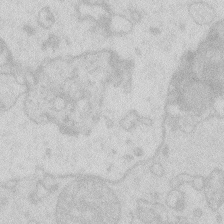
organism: Zebrafish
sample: Macrophage